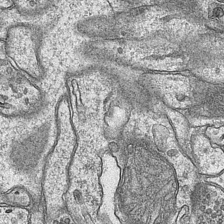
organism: Mouse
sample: CA1 Hippocampus